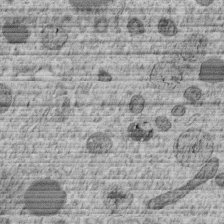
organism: C. elegans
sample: C. elegans embryo early stage